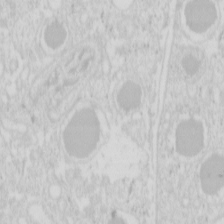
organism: Mouse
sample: Pancreas